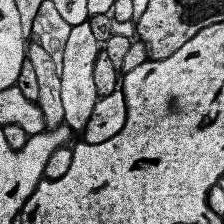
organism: Human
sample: Temporal Lobe